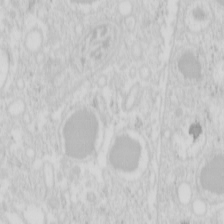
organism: Mouse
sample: Pancreas